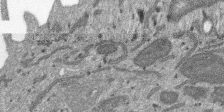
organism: Human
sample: Lung epithelial cells infected with SARS-CoV-2